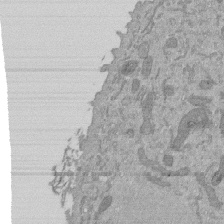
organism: Mouse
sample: ED-1 cell nuclei; centrioles